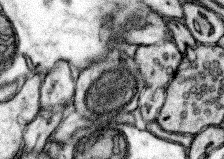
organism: Mouse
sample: Somatosensory cortex neuropil